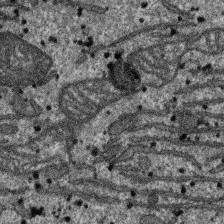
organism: Human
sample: Lung epithelial cells infected with SARS-CoV-2